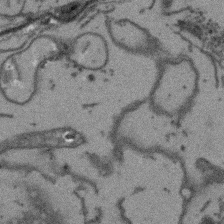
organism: Arabidopsis thaliana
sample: Root tip